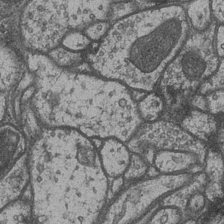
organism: Drosophila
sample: Optic medulla